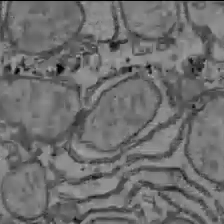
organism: C57BL Mouse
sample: Liver